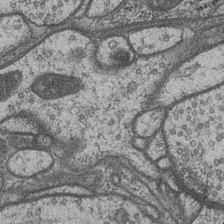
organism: Drosophila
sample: Optic medulla